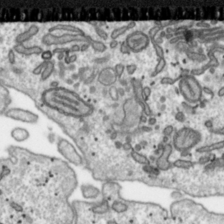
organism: Toxoplasma gondii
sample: Parasites in a vacuole inside a host cell